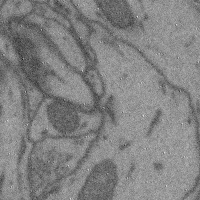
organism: Mouse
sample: Cerebral cortex